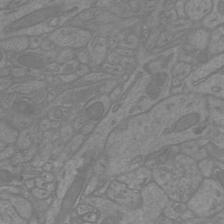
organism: Mouse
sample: Cortical neurons